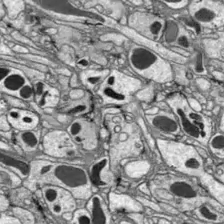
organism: Drosophila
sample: Optic lobe